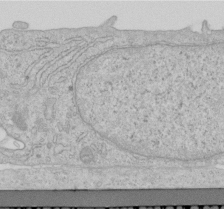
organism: Human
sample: Centriole in RPE cells